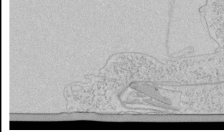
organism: Human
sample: Mitochondria in HCT116 cells